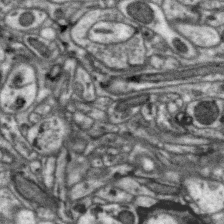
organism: Zebra finch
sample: Brain